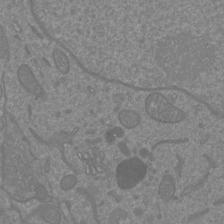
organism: Mouse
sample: Cortical neurons